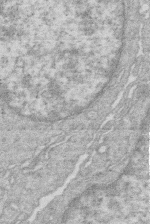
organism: Human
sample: Macrophage cells